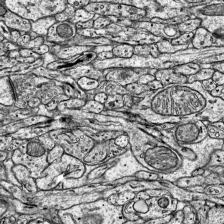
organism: Mouse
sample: Visual Cortex